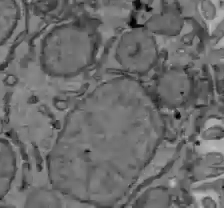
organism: C57BL Mouse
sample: Liver